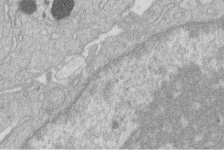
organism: Human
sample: Macrophage cells